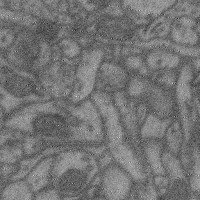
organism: Mouse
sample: Cerebral cortex